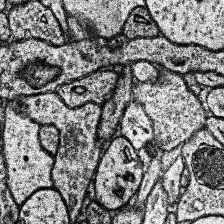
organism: Human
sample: Temporal Lobe